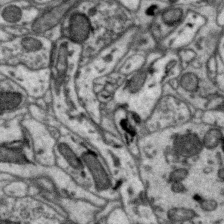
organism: Zebra finch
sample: Brain